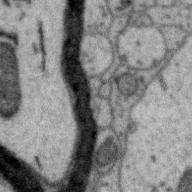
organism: Zebra finch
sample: Brain